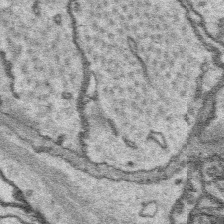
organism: Platynereis dumerilii